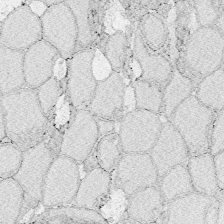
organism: Zebrafish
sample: Whole-Brain